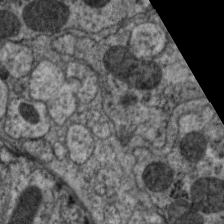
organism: C. elegans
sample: Pharynx